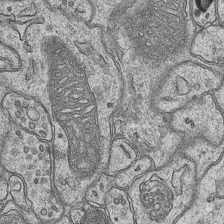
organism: Mouse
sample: CA1 Hippocampus